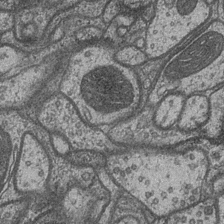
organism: Drosophila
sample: Optic medulla